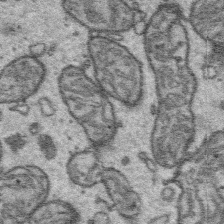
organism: Platynereis dumerilii